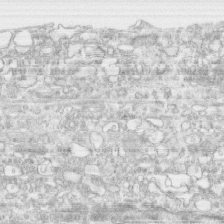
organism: Human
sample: CRL-1474